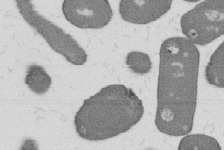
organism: B. subtilis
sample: Bacterial spore